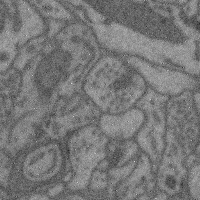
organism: Mouse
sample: Cerebral cortex